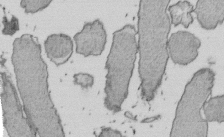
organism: E. coli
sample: Bacterial nucleoid